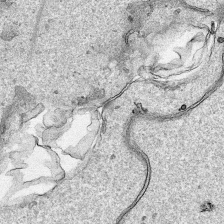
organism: Human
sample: Mitochondria in HCT116 cells